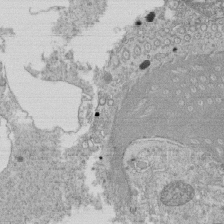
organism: Tetrahymena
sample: Cilia in tetrahymena